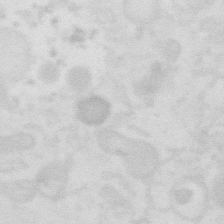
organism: Human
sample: HeLa cells